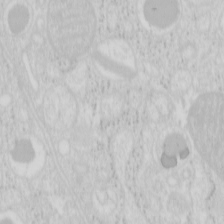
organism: Mouse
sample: Pancreas